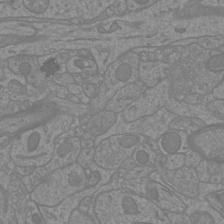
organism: Mouse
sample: Cortical neurons